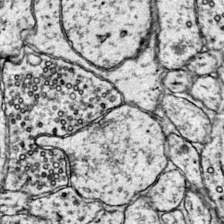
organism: Mouse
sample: Primary visual cortex